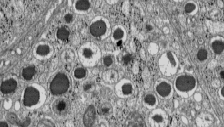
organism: C57BL Mouse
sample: Pancreatic islet